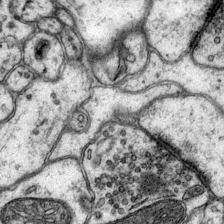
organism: Mouse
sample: Primary visual cortex